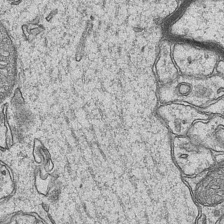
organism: Mouse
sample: CA1 Hippocampus